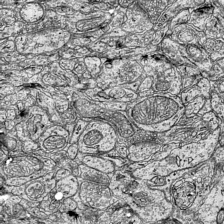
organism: Mouse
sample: Visual Cortex